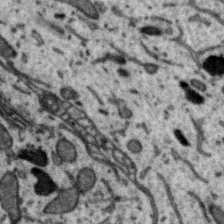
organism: Zebra finch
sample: Brain